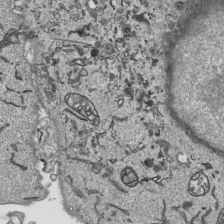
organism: Human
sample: Mitochondria in HCT116 cells